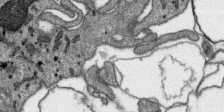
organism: Human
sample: Lung epithelial cells, uninfected (mock) control